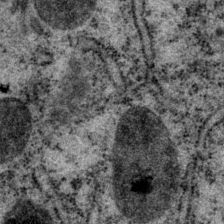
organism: P. pacificus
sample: Pharynx